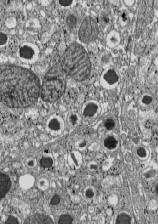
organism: C57BL Mouse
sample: Pancreatic islet